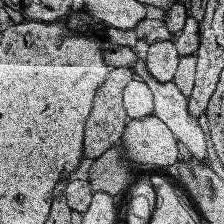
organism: Human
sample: Temporal Lobe